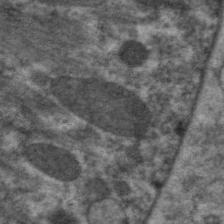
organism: C. elegans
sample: Pharynx